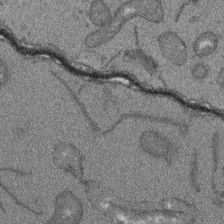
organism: Arabidopsis thaliana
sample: Root tip